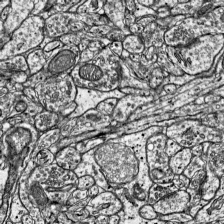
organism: Mouse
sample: Visual Cortex